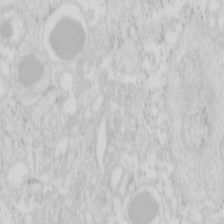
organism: Mouse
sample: Pancreas